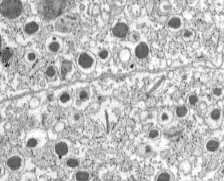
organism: C57BL Mouse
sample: Pancreatic islet